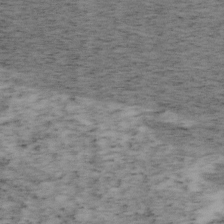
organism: Mouse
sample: OT-I killer T cells with ID8 ovarian cancer cells